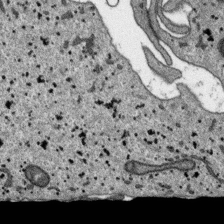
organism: Human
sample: Lung epithelial cells, uninfected (mock) control